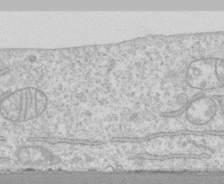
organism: Human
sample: CRL-1474